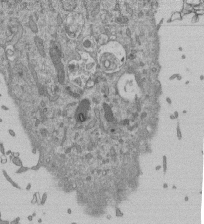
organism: Mouse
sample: ED-1 cell nuclei; centrioles